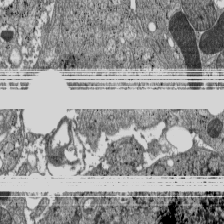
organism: C57BL Mouse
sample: Pancreatic islet